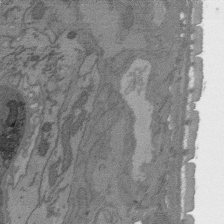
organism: C. elegans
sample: AFD neurons C. elegans